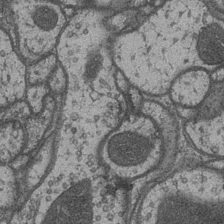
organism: Drosophila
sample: Optic medulla